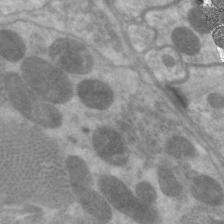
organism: C. elegans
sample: Pharynx